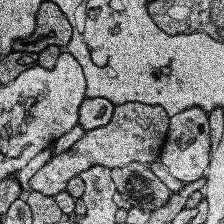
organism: Human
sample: Temporal Lobe